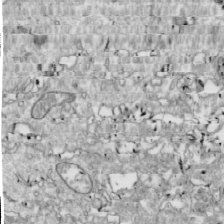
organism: Drosophila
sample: Cell division; meiosis; drosophila spermatocytes